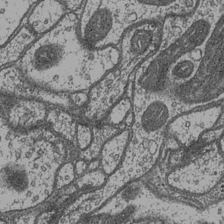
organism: Drosophila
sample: Optic medulla